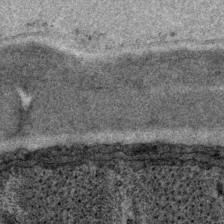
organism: P. pacificus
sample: Pharynx